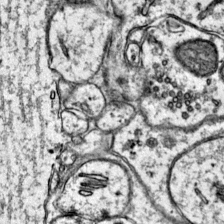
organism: Mouse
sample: Primary visual cortex